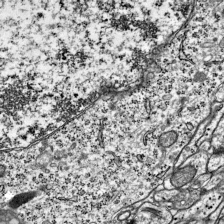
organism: Mouse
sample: Visual Cortex